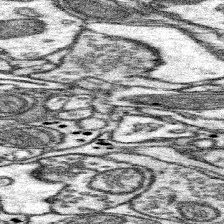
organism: Mouse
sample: Somatosensory cortex neuropil